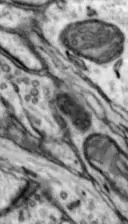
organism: Mouse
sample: Nucleus accumbens